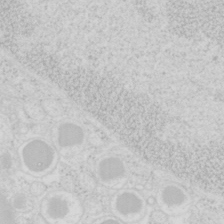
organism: Mouse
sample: Pancreas